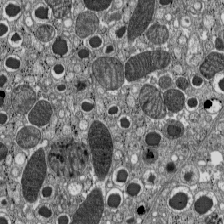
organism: C57BL Mouse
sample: Pancreatic islet